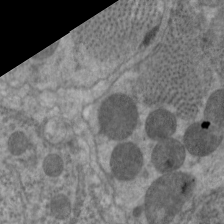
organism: C. elegans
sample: Pharynx